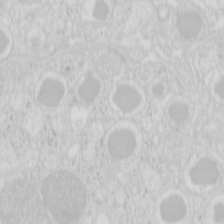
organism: Mouse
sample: Pancreas